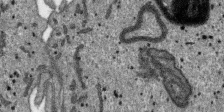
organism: Human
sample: Lung epithelial cells, uninfected (mock) control